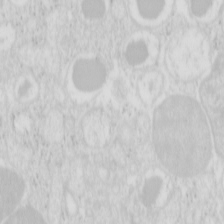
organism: Mouse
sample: Pancreas